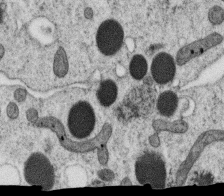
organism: C. elegans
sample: C. elegans oocyte; sperm cells